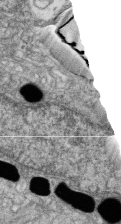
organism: Zebrafish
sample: Cilia; retinal pigment epithelium